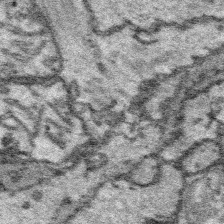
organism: Platynereis dumerilii